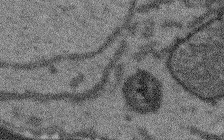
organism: Arabidopsis thaliana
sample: Root tip